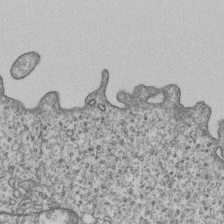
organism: Human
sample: MDA-MB-231 cells